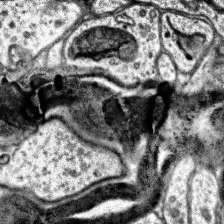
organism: Human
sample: Temporal Lobe